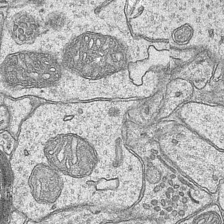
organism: Mouse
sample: CA1 Hippocampus